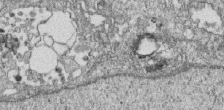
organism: Human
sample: HeLa cell HIV synapse